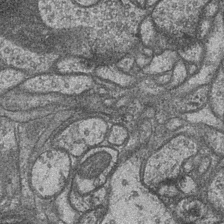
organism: Drosophila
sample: Optic medulla